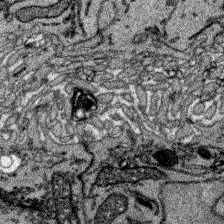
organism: Zebrafish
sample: Larval olfactory bulb